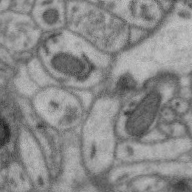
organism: Zebra finch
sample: Brain